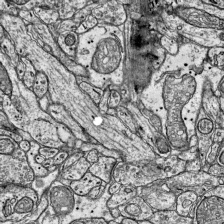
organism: Mouse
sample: Visual Cortex